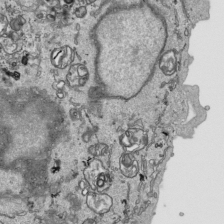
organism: Human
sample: Mitochondria in HCT116 cells